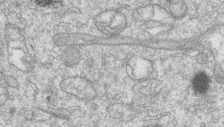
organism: Human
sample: HeLa cell HIV synapse